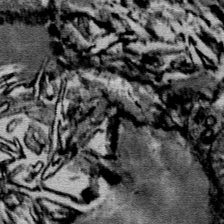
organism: Mouse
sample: Mouse Salivary gland